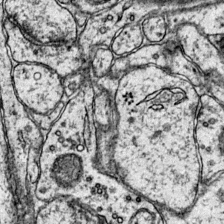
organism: Mouse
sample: Primary visual cortex